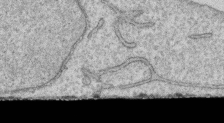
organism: Human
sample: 1205lu cells